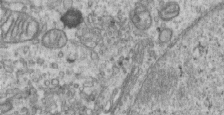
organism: Human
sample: Centriole in RPE cells